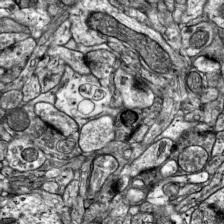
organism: Mouse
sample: Visual Cortex